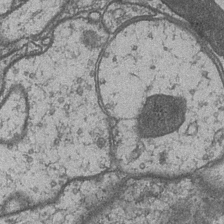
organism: Drosophila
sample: Optic medulla